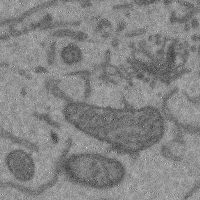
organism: Mouse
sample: Cerebral cortex